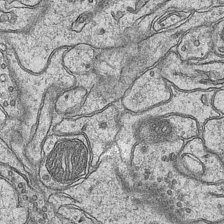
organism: Mouse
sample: CA1 Hippocampus